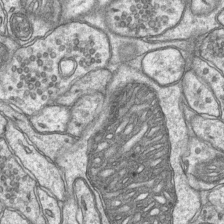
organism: Mouse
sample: CA1 Hippocampus